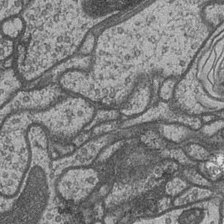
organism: Drosophila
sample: Optic medulla